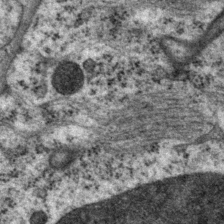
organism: P. pacificus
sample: Pharynx